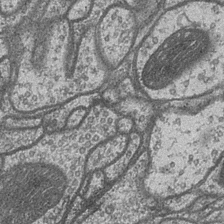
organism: Drosophila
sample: Optic medulla